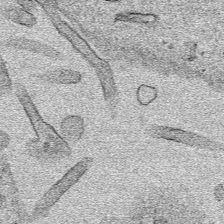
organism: Human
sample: Mitochondria in HCT116 cells